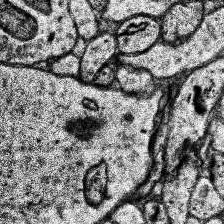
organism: Human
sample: Temporal Lobe